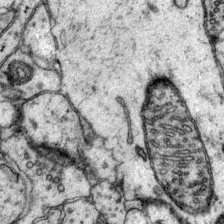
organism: Mouse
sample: Primary visual cortex